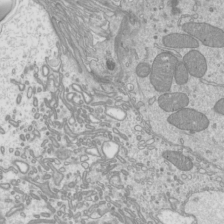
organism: Mouse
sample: Cilia; mouse epididymis